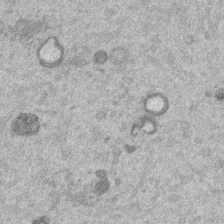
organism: Mouse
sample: Dividing mouse embryo 1 cell stage